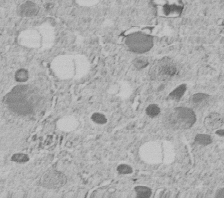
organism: C. elegans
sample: C. elegans embryo early stage